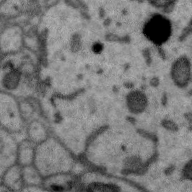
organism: Zebra finch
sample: Brain